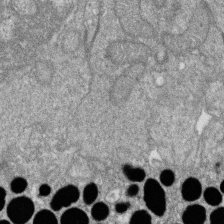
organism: Zebrafish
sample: Cilia; retinal pigment epithelium